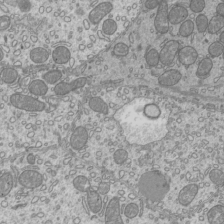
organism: Mouse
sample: Cilia; mouse epididymis